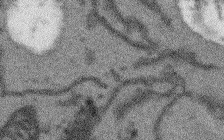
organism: Arabidopsis thaliana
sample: Root tip